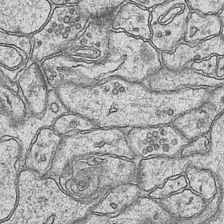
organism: Mouse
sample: CA1 Hippocampus